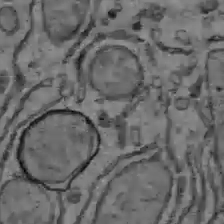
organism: C57BL Mouse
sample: Liver